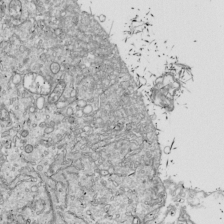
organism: Drosophila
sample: Cell division; meiosis; drosophila spermatocytes